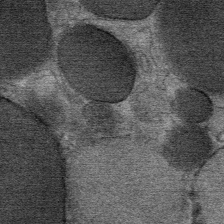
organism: Mouse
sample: Mouse Salivary gland